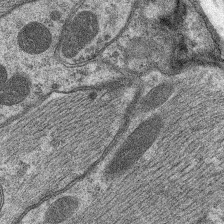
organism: C. elegans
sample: Pharynx